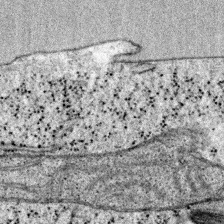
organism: Human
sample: HeLa cells